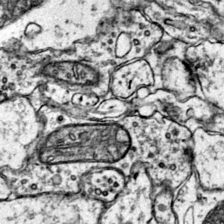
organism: Mouse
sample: Primary visual cortex